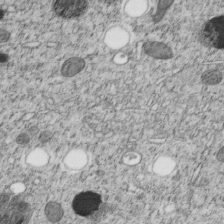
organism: C. elegans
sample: C. elegans embryo early stage